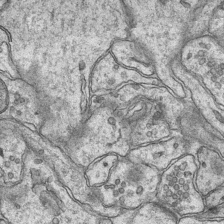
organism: Mouse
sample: CA1 Hippocampus